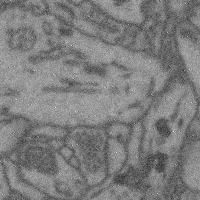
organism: Mouse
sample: Cerebral cortex